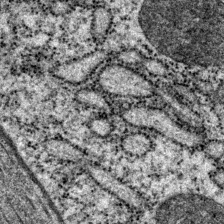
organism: P. pacificus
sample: Pharynx